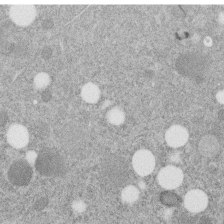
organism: C. elegans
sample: C. elegans embryo early stage